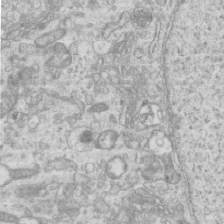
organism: Mouse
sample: Centriole in ependymal cells